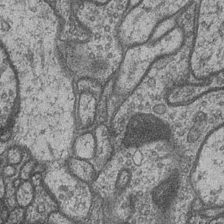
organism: Drosophila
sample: Optic medulla